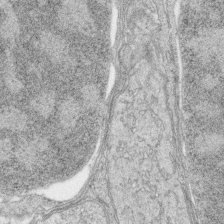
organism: Zebrafish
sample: synaptic ribbons in rod cells and cone cells